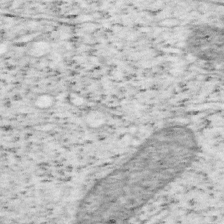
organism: Mouse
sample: OT-I killer T cells with ID8 ovarian cancer cells